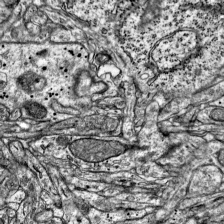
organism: Mouse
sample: Visual Cortex